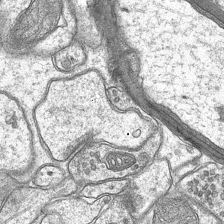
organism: Mouse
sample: CA1 Hippocampus